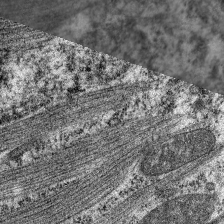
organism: C. elegans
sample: Pharynx